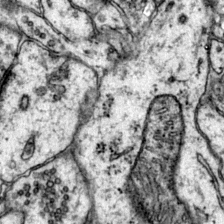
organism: Mouse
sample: Primary visual cortex